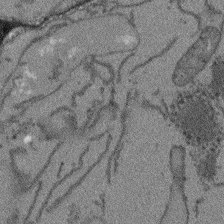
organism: Arabidopsis thaliana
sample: Root tip